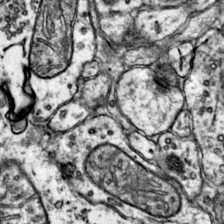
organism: Mouse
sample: Primary visual cortex